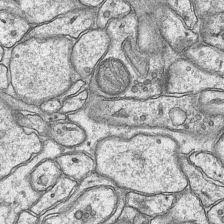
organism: Mouse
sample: CA1 Hippocampus